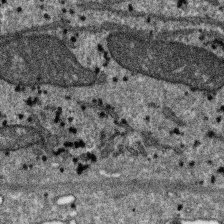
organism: Human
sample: Lung epithelial cells infected with SARS-CoV-2